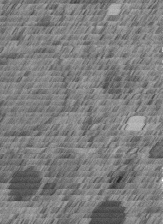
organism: C. elegans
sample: C. elegans embryo early stage